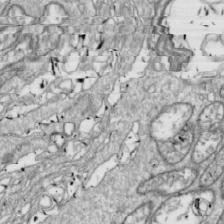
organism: Drosophila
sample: Cell division; meiosis; drosophila spermatocytes